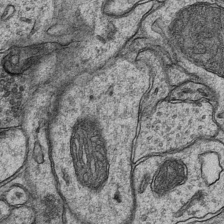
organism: Mouse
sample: CA1 Hippocampus